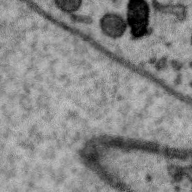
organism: Zebra finch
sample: Brain